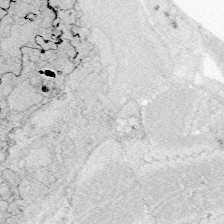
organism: Zebrafish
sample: Whole-Brain